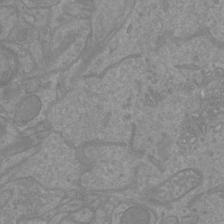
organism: Mouse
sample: Cortical neurons